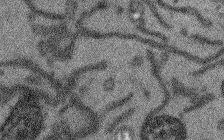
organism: Arabidopsis thaliana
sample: Root tip